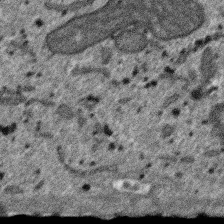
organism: Human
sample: Lung epithelial cells infected with SARS-CoV-2